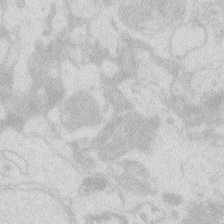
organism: Zebrafish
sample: Macrophage